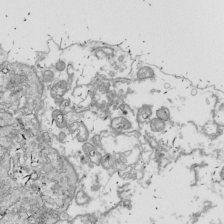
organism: Drosophila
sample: Cell division; meiosis; drosophila spermatocytes